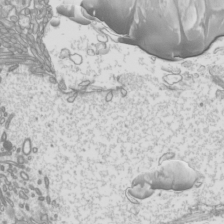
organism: Mouse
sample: Cilia; mouse epididymis